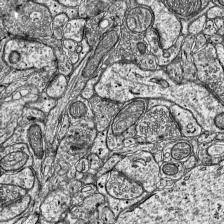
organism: Mouse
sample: Visual Cortex